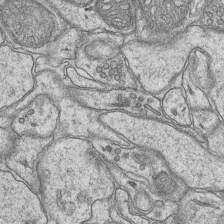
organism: Mouse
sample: CA1 Hippocampus